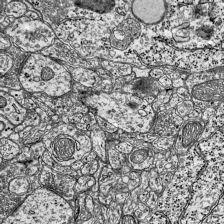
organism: Mouse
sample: Visual Cortex